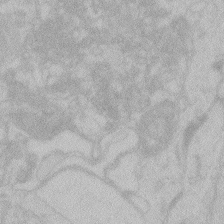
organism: Zebrafish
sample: Macrophage infected with Toxoplasma gondii